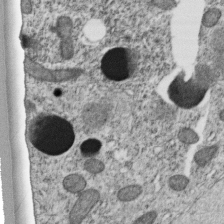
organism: C. elegans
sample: C. elegans embryo early stage